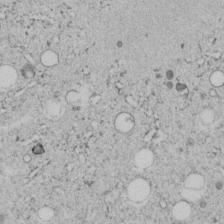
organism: C. elegans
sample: C. elegans embryo early stage